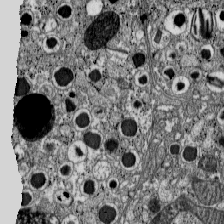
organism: C57BL Mouse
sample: Pancreatic islet